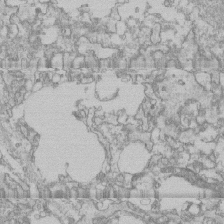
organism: Human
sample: CRL-1474